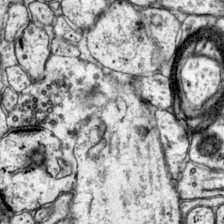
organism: Mouse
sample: Primary visual cortex